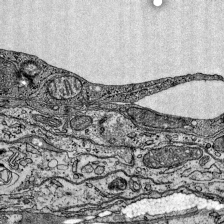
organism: Mouse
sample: Visual Cortex